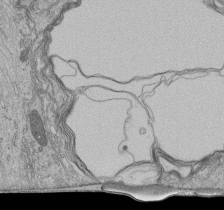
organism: Human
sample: Retinal organoid Rod and Cone cells